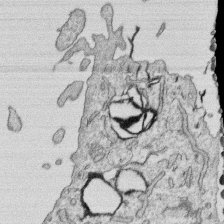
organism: Human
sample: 1205lu cells